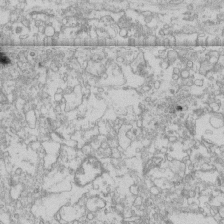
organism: Human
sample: CRL-1474